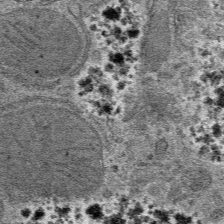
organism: Mouse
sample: Mouse hepatocytes